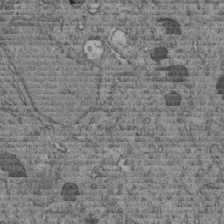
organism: C. elegans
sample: C. elegans embryo early stage